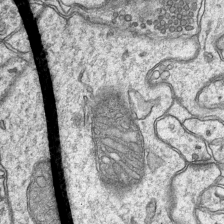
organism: Mouse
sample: CA1 Hippocampus